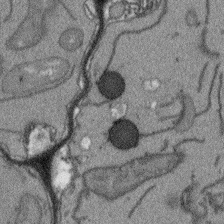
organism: Arabidopsis thaliana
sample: Root tip